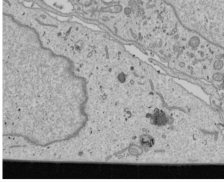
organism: Human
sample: Mitochondria in U2OS cells